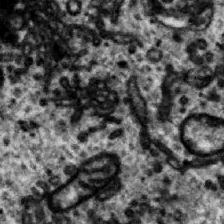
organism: Human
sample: HeLa cells